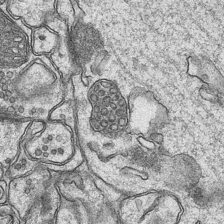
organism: Mouse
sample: CA1 Hippocampus